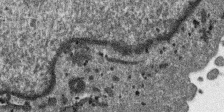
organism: Human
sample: Lung epithelial cells infected with SARS-CoV-2